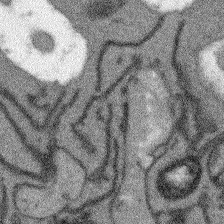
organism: Arabidopsis thaliana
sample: Root tip